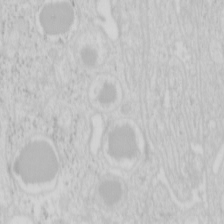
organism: Mouse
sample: Pancreas